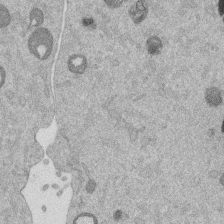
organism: Mouse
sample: Dividing mouse embryo 1 cell stage